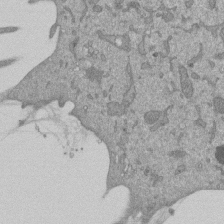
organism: Mouse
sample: ED-1 cell nuclei; centrioles